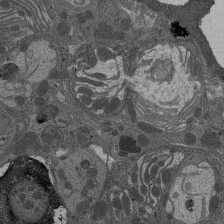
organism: Drosophila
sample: Antenna